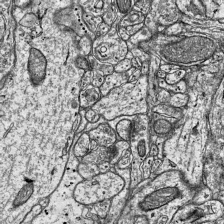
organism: Mouse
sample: Visual Cortex